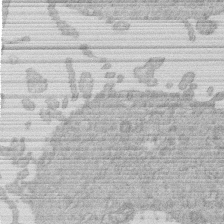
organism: Human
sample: Macrophage cells